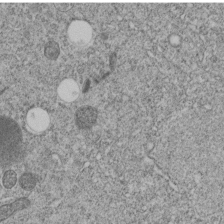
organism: C. elegans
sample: C. elegans embryo early stage